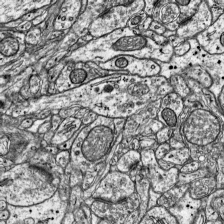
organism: Mouse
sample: Visual Cortex